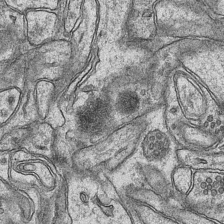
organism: Mouse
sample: CA1 Hippocampus